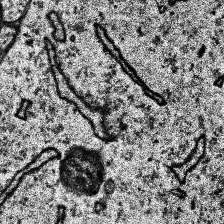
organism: Human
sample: Temporal Lobe